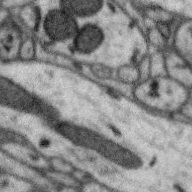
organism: Zebra finch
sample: Brain